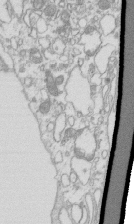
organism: Mouse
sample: Macrophages